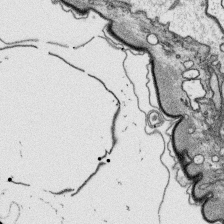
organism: Platynereis dumerilii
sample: Parapodia